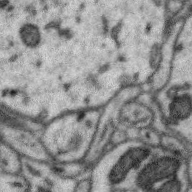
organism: Zebra finch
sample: Brain